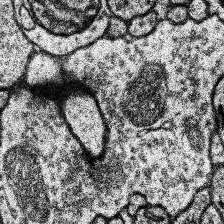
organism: Human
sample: Temporal Lobe